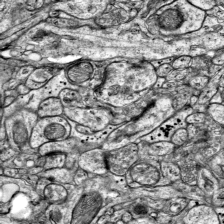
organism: Mouse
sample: Visual Cortex